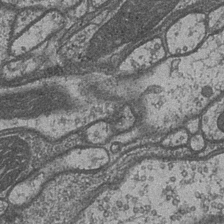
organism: Drosophila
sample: Optic medulla